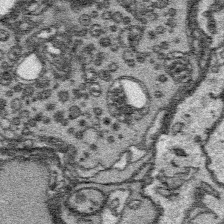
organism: Platynereis dumerilii